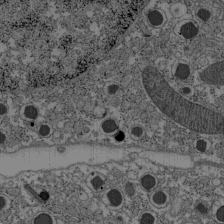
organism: C57BL Mouse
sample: Pancreatic islet